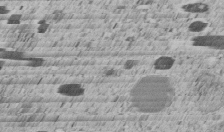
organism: C. elegans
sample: C. elegans embryo early stage